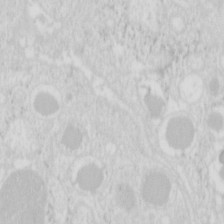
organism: Mouse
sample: Pancreas